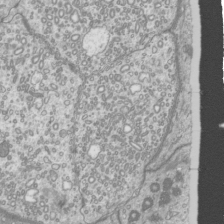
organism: Mouse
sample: Cilia; mouse epididymis